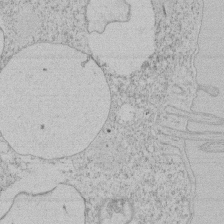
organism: Tetrahymena